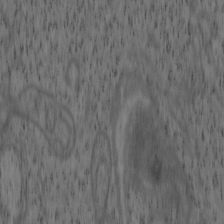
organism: Human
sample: HeLa cells